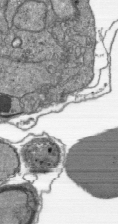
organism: Plasmodium falciparum